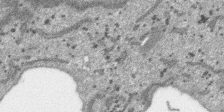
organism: Human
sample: Lung epithelial cells infected with SARS-CoV-2